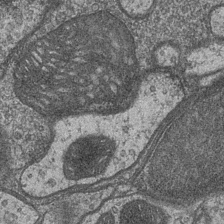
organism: Drosophila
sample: Optic medulla